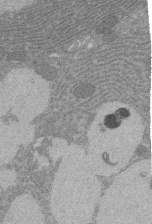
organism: Rat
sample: Salivary granule